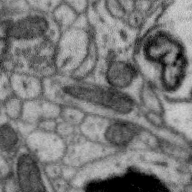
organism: Zebra finch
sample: Brain